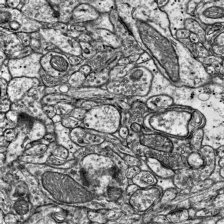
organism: Mouse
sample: Visual Cortex